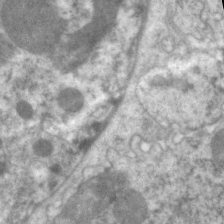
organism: C. elegans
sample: Pharynx